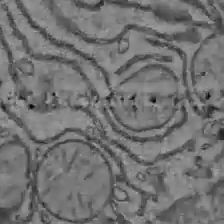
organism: C57BL Mouse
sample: Liver